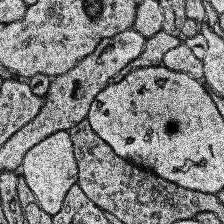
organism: Human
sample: Temporal Lobe